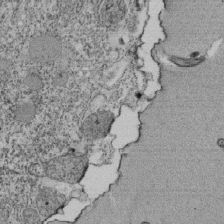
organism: Tetrahymena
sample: Cilia in tetrahymena